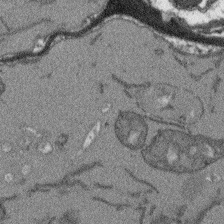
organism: Arabidopsis thaliana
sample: Root tip